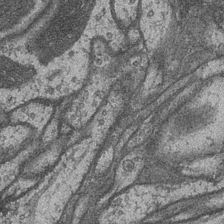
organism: Drosophila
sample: Optic medulla